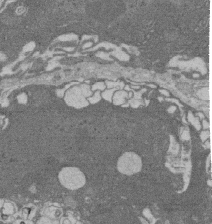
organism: Rat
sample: Salivary granule